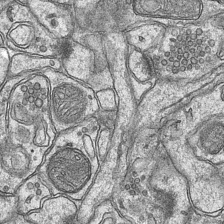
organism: Mouse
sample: CA1 Hippocampus